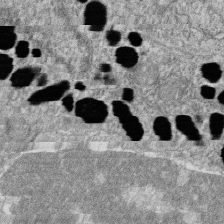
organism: Zebrafish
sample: Cilia; retinal pigment epithelium